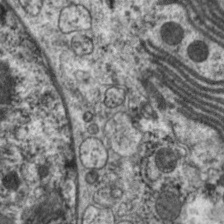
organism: C. elegans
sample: Pharynx